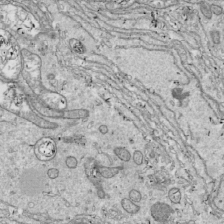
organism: Drosophila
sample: Cell division; meiosis; drosophila spermatocytes